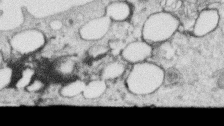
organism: Human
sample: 1205lu cells